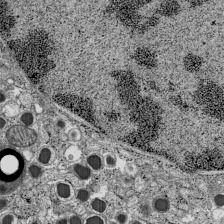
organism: C57BL Mouse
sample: Pancreatic islet